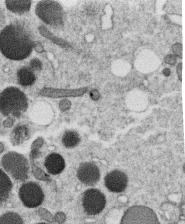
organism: C. elegans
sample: C. elegans oocyte; sperm cells